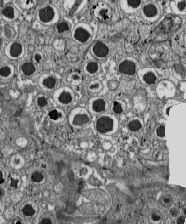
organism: C57BL Mouse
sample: Pancreatic islet